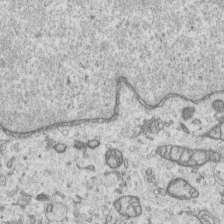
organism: Human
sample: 1205lu cells